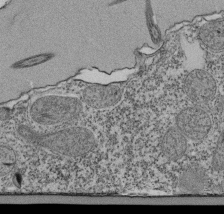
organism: Tetrahymena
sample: Cilia in tetrahymena